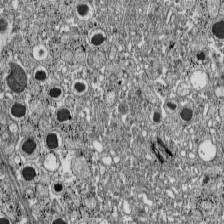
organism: C57BL Mouse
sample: Pancreatic islet